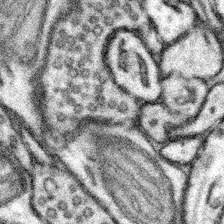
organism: Mouse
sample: Somatosensory cortex neuropil